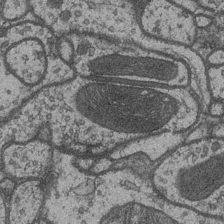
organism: Drosophila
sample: Optic medulla